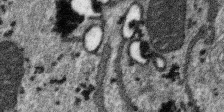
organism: Human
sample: Lung epithelial cells infected with SARS-CoV-2